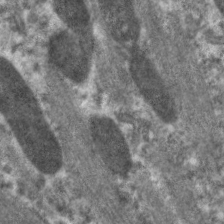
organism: C. elegans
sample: Pharynx